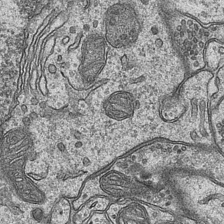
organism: Mouse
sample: CA1 Hippocampus